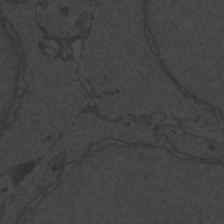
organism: Zebrafish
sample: Macrophage infected with Toxoplasma gondii